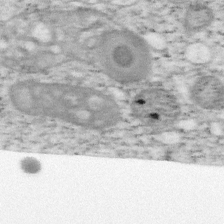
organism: Mouse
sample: OT-I killer T cells with ID8 ovarian cancer cells